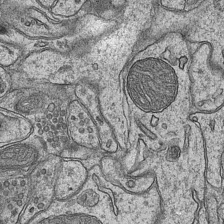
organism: Mouse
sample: CA1 Hippocampus